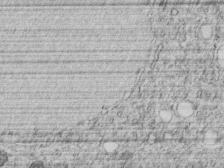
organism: C. elegans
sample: C. elegans embryo early stage